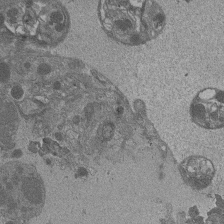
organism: Drosophila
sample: Antenna